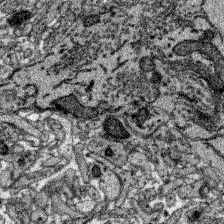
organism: Zebrafish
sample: Larval olfactory bulb